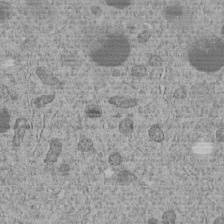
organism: C. elegans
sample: C. elegans embryo early stage